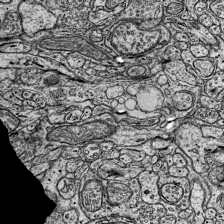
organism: Mouse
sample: Visual Cortex